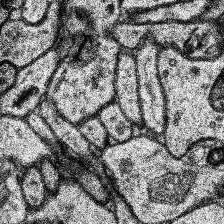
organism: Human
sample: Temporal Lobe